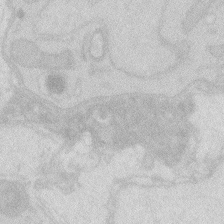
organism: Zebrafish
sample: Macrophage